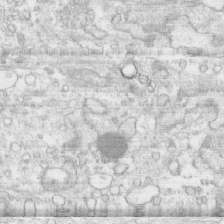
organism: Human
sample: CRL-1474